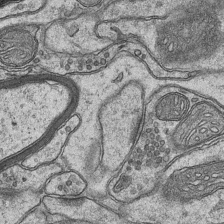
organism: Mouse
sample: CA1 Hippocampus